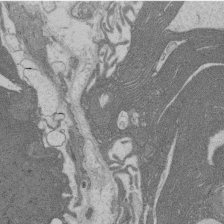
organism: Rat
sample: Salivary granule